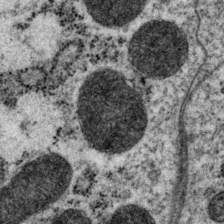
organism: P. pacificus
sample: Pharynx